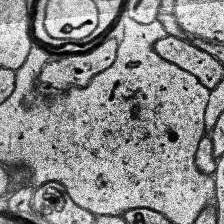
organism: Human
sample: Temporal Lobe